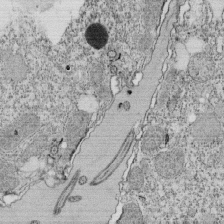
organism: Tetrahymena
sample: Cilia in tetrahymena